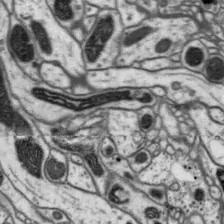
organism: Drosophila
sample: Protocerebral bridge